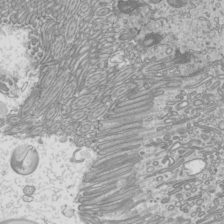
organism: Mouse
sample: Cilia; mouse epididymis